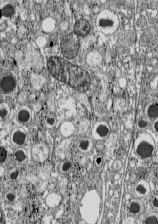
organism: C57BL Mouse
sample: Pancreatic islet